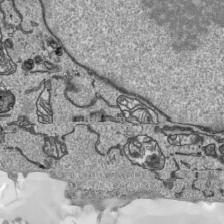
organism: Human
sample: Mitochondria in HCT116 cells